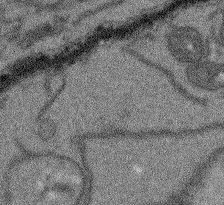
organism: Arabidopsis thaliana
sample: Root tip